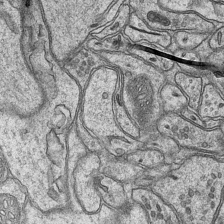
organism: Mouse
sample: CA1 Hippocampus